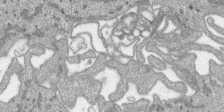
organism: Human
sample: Lung epithelial cells infected with SARS-CoV-2